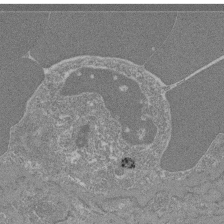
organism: Mouse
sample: Glomerulus